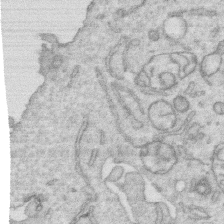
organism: Human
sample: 1205lu cells